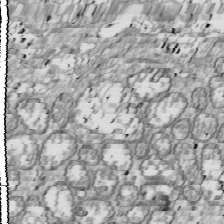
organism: Drosophila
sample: Cell division; meiosis; drosophila spermatocytes